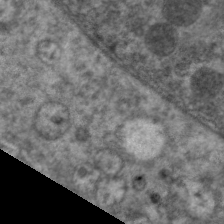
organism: C. elegans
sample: Pharynx